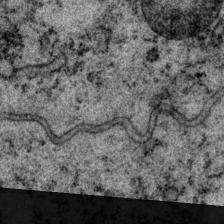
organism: P. pacificus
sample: Pharynx